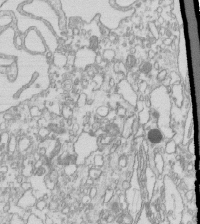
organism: Mouse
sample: Macrophages